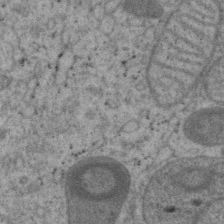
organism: Human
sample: HeLa cells